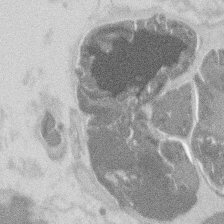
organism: Mouse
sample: T cell stromal cell synapse